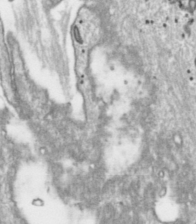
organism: Toxoplasma gondii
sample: Parasites in a vacuole inside a host cell